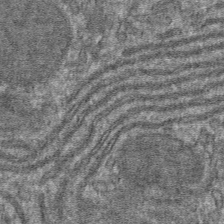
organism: Mouse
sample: Mouse hepatocytes